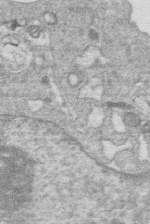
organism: Human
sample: Macrophage cells